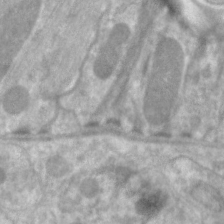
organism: C. elegans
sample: Pharynx